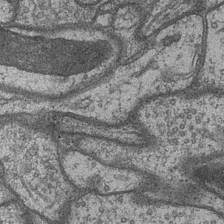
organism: Drosophila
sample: Optic medulla